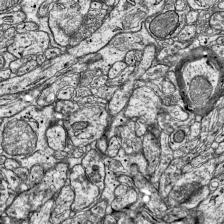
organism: Mouse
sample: Visual Cortex